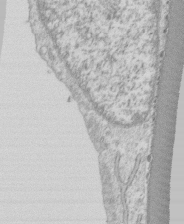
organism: Human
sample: CRL-1474